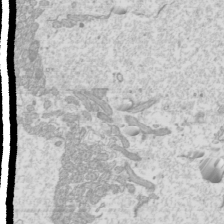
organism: Mouse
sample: Cilia; mouse epididymis